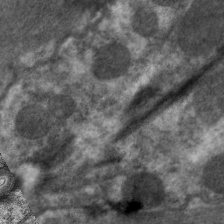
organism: C. elegans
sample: Pharynx